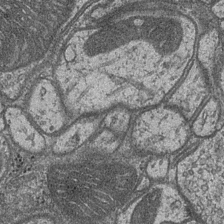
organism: Drosophila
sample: Optic medulla